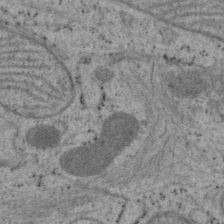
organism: Human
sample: HeLa cells